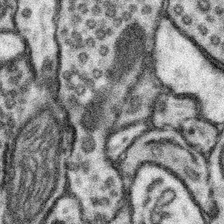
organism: Mouse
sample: Somatosensory cortex neuropil